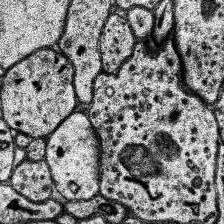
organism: Human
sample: Temporal Lobe